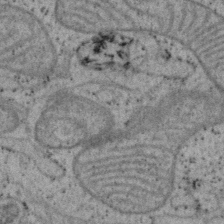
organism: Human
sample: HeLa cells